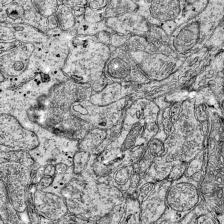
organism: Mouse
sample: Visual Cortex